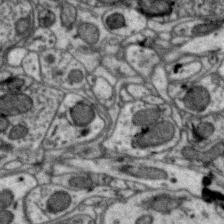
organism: Zebra finch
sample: Brain